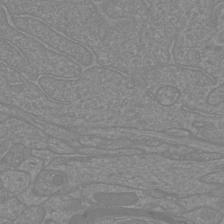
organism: Mouse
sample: Cortical neurons